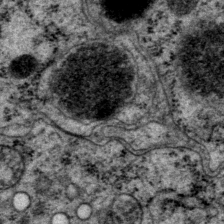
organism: P. pacificus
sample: Pharynx